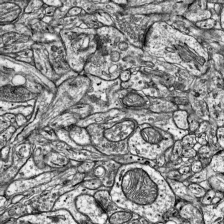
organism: Mouse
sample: Visual Cortex